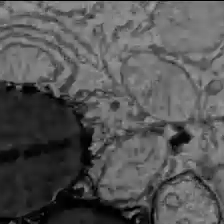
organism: C57BL Mouse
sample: Liver